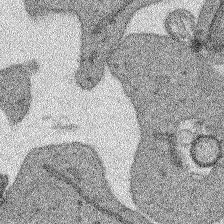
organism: Human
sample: HeLa cells